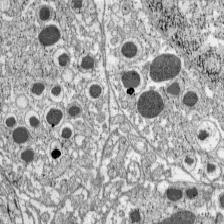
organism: C57BL Mouse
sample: Pancreatic islet